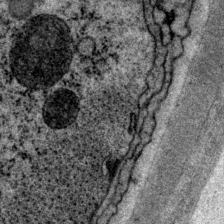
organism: P. pacificus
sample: Pharynx